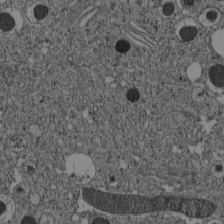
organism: C57BL Mouse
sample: Pancreatic islet